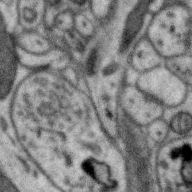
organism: Zebra finch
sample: Brain